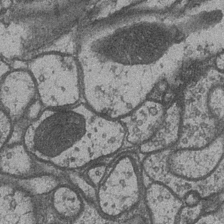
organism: Drosophila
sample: Optic medulla